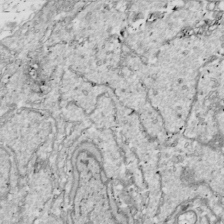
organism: Drosophila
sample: Cell division; meiosis; drosophila spermatocytes